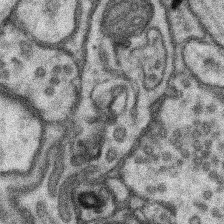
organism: Mouse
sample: Somatosensory cortex neuropil